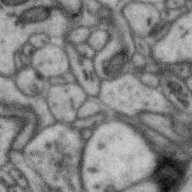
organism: Zebra finch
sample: Brain